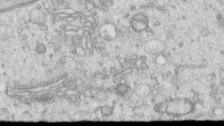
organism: Human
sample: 1205lu cells